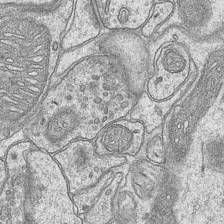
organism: Mouse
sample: CA1 Hippocampus